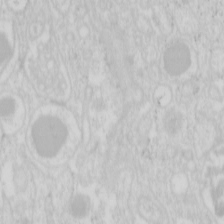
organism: Mouse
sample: Pancreas